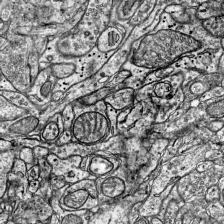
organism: Mouse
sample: Visual Cortex